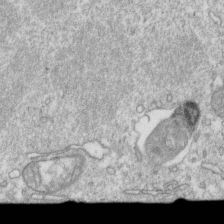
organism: Mouse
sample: Activated OT-1 CD8+ T cells